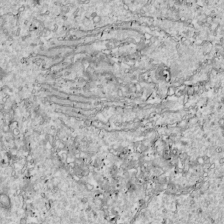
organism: Drosophila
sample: Cell division; meiosis; drosophila spermatocytes